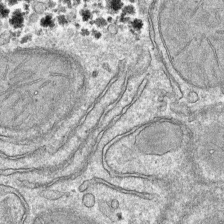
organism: Mouse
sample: Mouse hepatocytes